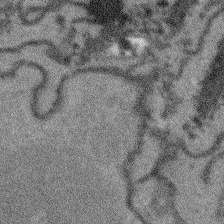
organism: Arabidopsis thaliana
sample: Root tip